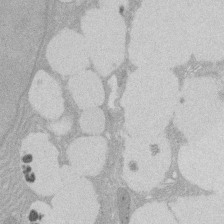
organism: Rat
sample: Salivary granule